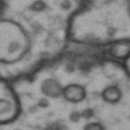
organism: Drosophila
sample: Brain